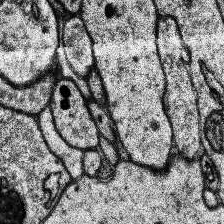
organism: Human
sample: Temporal Lobe